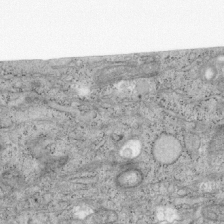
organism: Human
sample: HeLa cells